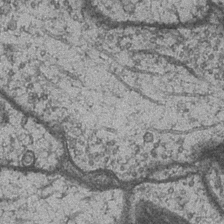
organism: Drosophila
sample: Optic medulla